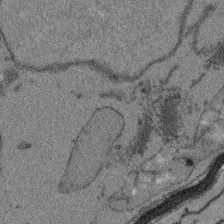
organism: Arabidopsis thaliana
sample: Root tip